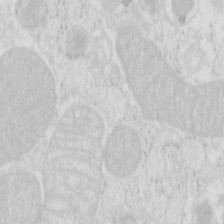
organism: Mouse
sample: Pancreas